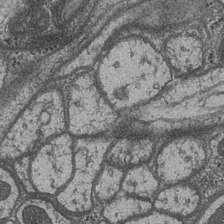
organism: Drosophila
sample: Optic medulla